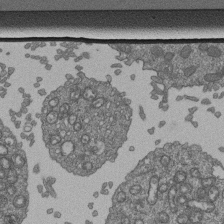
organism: Human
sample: Retinal organoid Rod and Cone cells